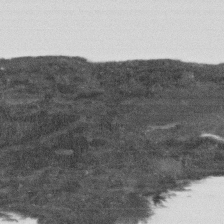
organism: Human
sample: Fibroblast cells